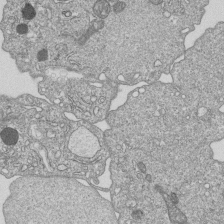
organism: Human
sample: MDA-MB-231 cells